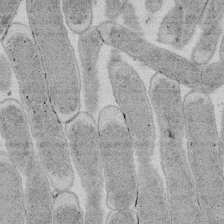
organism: E. coli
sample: Bacterial nucleoid